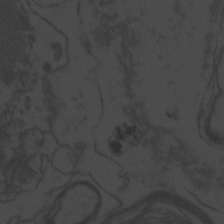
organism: Zebrafish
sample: Macrophage infected with Toxoplasma gondii